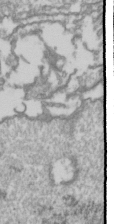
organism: Drosophila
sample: Cell division; meiosis; drosophila spermatocytes